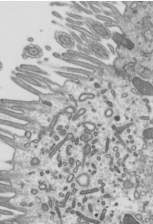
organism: Mouse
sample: Mouse epididymis efferent ductule cilia